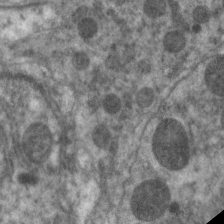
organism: C. elegans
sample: Pharynx